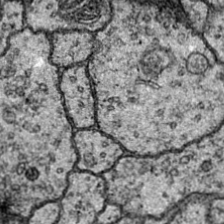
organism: Drosophila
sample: Ventral Nerve Cord